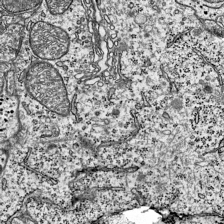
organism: Mouse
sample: Visual Cortex